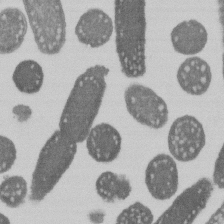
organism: E. coli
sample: Bacterial nucleoid